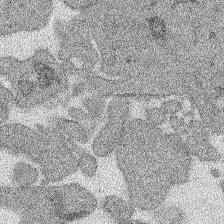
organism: Human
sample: HeLa cells